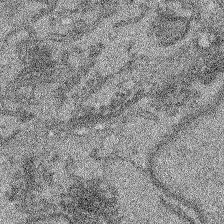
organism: Human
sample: HeLa cells